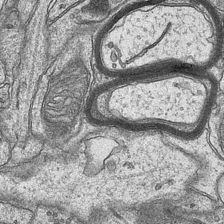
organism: Mouse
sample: CA1 Hippocampus